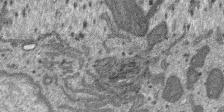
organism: Human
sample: Lung epithelial cells infected with SARS-CoV-2